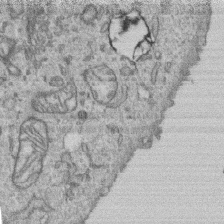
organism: Human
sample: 1205lu cells